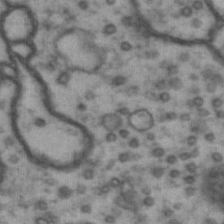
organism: Drosophila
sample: Brain